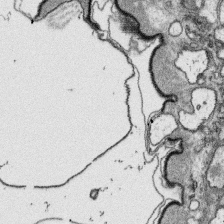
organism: Platynereis dumerilii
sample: Parapodia